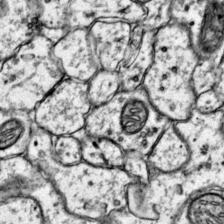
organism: Mouse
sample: Primary visual cortex